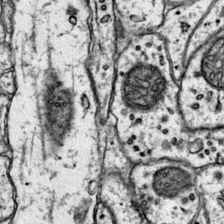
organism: Mouse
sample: Primary visual cortex